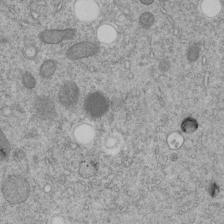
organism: C. elegans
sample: C. elegans embryo early stage